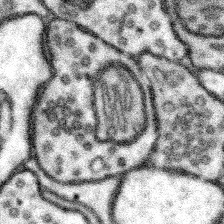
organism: Mouse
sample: Somatosensory cortex neuropil